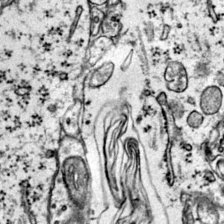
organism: Mouse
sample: Primary visual cortex